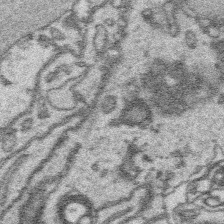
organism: Platynereis dumerilii